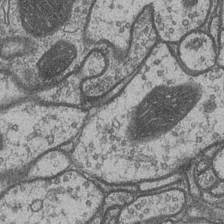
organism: Drosophila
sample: Optic medulla